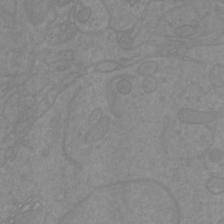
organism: Mouse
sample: Cortical neurons